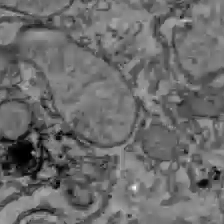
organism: C57BL Mouse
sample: Liver